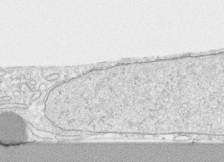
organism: Human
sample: CRL-1474